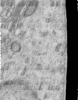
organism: Human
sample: Centriole in RPE cells